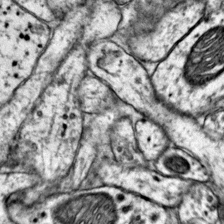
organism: Mouse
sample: Primary visual cortex